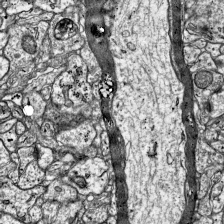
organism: Mouse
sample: Visual Cortex